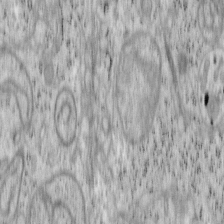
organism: Human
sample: HeLa cells